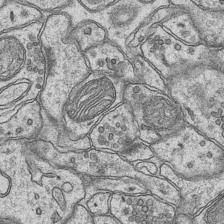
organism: Mouse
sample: CA1 Hippocampus